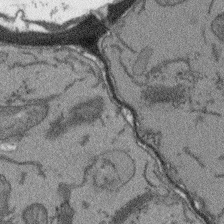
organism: Arabidopsis thaliana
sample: Root tip